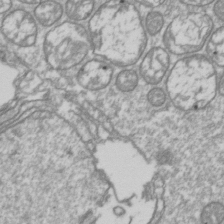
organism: Drosophila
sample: Cell division; meiosis; drosophila spermatocytes